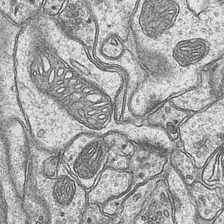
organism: Mouse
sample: CA1 Hippocampus